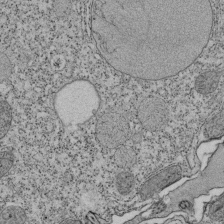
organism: Tetrahymena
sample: Cilia in tetrahymena